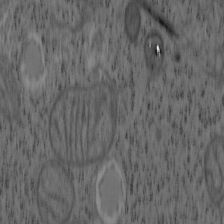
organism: Human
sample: HeLa cells